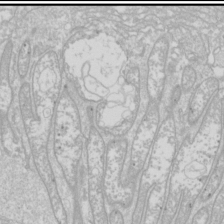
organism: Drosophila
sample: Cell division; meiosis; drosophila spermatocytes